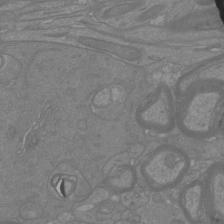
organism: Mouse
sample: Cortical neurons